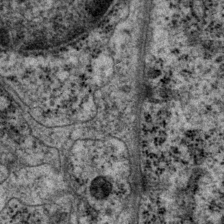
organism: P. pacificus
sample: Pharynx